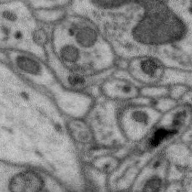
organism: Zebra finch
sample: Brain